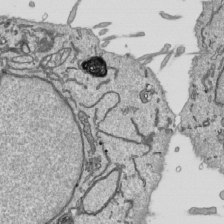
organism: Human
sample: Mitochondria in HCT116 cells